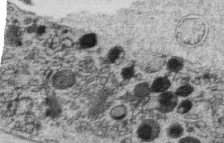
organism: C. elegans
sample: C. elegans oocyte; sperm cells